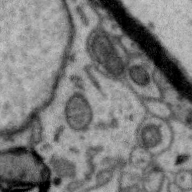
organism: Zebra finch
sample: Brain